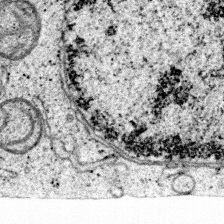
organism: Human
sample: HeLa cells